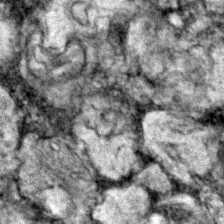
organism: Zebrafish